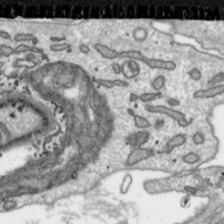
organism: Toxoplasma gondii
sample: Parasites in a vacuole inside a host cell